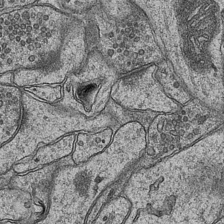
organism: Mouse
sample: CA1 Hippocampus